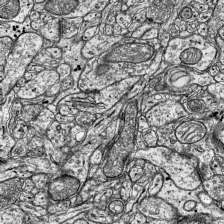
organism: Mouse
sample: Visual Cortex